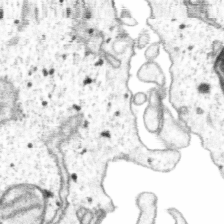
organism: Human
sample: HeLa cells